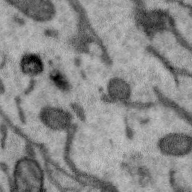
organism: Zebra finch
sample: Brain